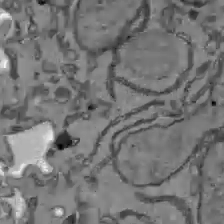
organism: C57BL Mouse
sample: Liver